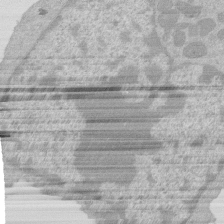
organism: Mouse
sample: Activated Pmel transgenic CD8+ T Cells